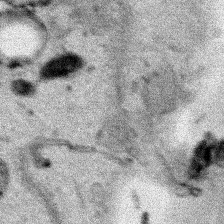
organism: Human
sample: Mitochondria in HCT116 cells